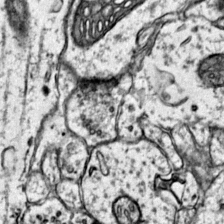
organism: Mouse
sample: Primary visual cortex